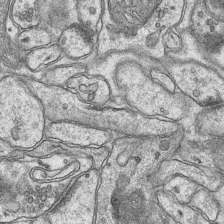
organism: Mouse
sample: CA1 Hippocampus